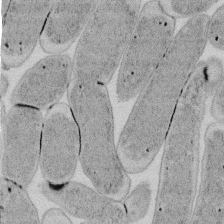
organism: E. coli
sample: Bacterial nucleoid